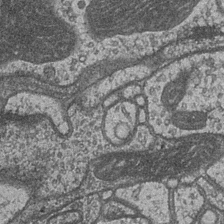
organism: Drosophila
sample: Optic medulla